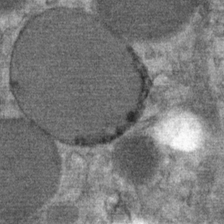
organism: Mouse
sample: Mouse Salivary gland